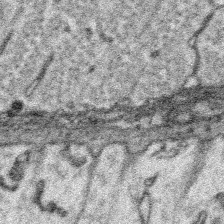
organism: Platynereis dumerilii